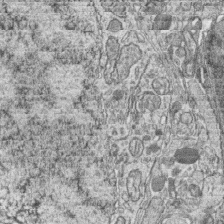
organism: Zebrafish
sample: synaptic ribbons in rod cells and cone cells